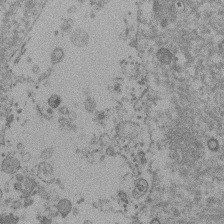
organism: Mouse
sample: Dividing mouse embryo 1 cell stage